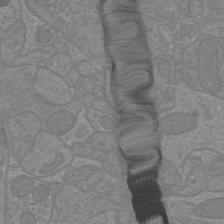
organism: Mouse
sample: Cortical neurons